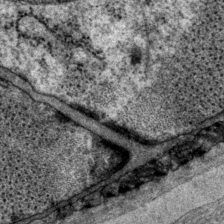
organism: P. pacificus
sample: Pharynx